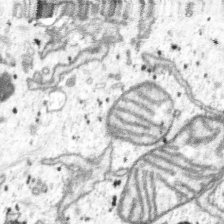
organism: Human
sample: HeLa cells